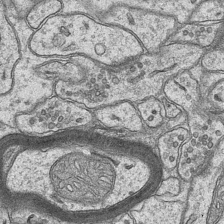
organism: Mouse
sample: CA1 Hippocampus